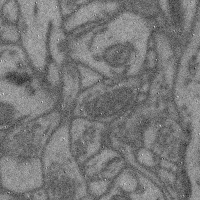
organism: Mouse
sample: Cerebral cortex